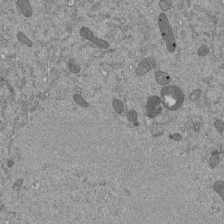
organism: Mouse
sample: ED-1 cell nuclei; centrioles